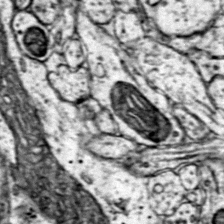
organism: Mouse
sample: Primary visual cortex